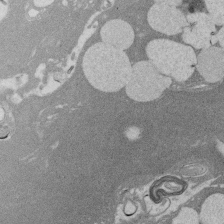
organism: Rat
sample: Salivary granule